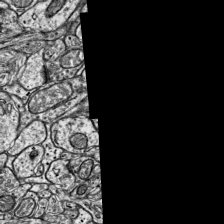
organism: Mouse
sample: Visual Cortex